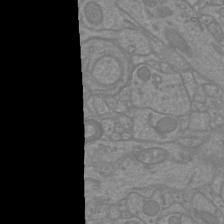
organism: Mouse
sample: Cortical neurons